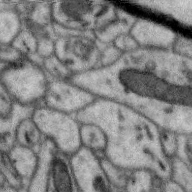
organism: Zebra finch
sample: Brain